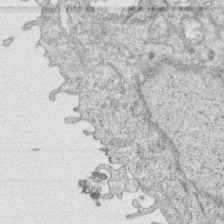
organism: Human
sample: HeLa cell HIV synapse